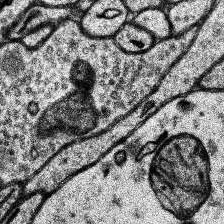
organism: Human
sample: Temporal Lobe